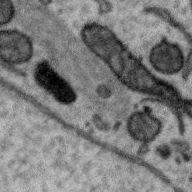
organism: Zebra finch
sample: Brain